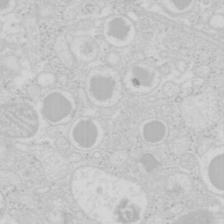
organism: Mouse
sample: Pancreas